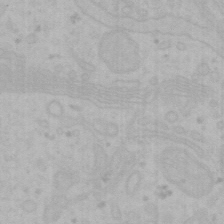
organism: Mouse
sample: Choroid plexus